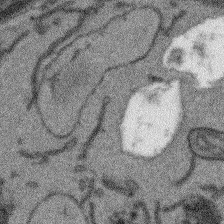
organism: Arabidopsis thaliana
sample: Root tip